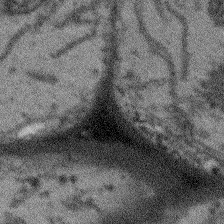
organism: Arabidopsis thaliana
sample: Root tip